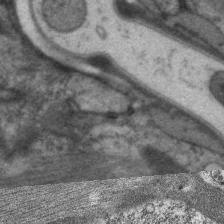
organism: C. elegans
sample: Pharynx